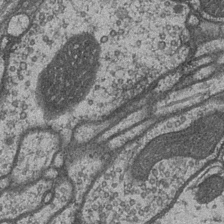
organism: Drosophila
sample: Optic medulla